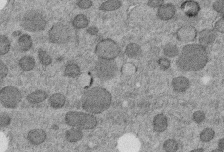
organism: C. elegans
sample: C. elegans embryo early stage